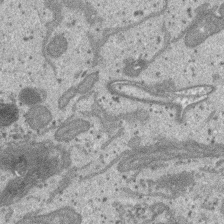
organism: Human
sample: Lung epithelial cells infected with SARS-CoV-2